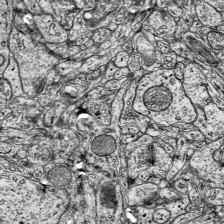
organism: Mouse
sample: Visual Cortex